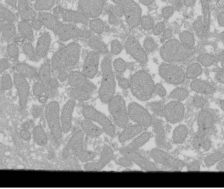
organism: Xenopus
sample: Cilia; centrioles in frog embryo cells